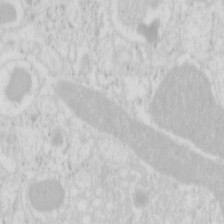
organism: Mouse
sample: Pancreas